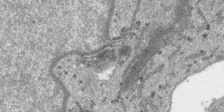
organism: Human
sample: Lung epithelial cells infected with SARS-CoV-2